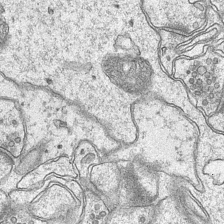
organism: Mouse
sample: CA1 Hippocampus